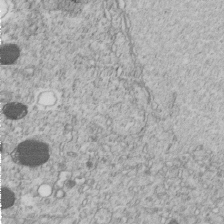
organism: C. elegans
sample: C. elegans embryo early stage